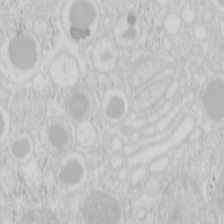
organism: Mouse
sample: Pancreas